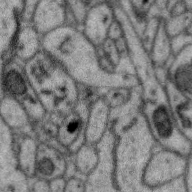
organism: Zebra finch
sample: Brain